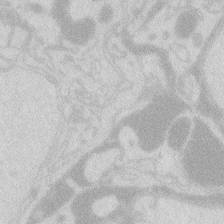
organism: Zebrafish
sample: Macrophage